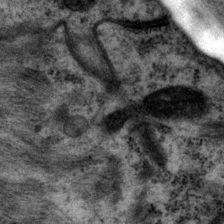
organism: P. pacificus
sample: Pharynx